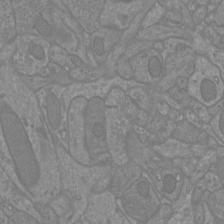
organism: Mouse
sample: Cortical neurons